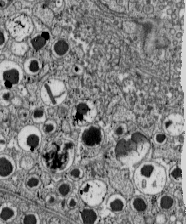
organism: C57BL Mouse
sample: Pancreatic islet